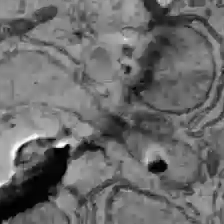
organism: C57BL Mouse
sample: Liver